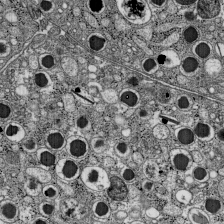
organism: C57BL Mouse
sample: Pancreatic islet